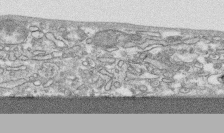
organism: Human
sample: CRL-1474